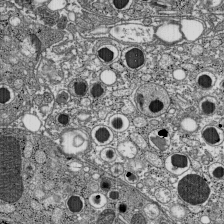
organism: C57BL Mouse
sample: Pancreatic islet